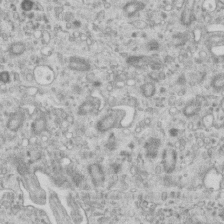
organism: Mouse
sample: Centriole in ependymal cells